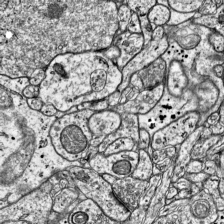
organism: Mouse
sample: Visual Cortex